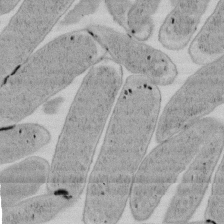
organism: E. coli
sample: Bacterial nucleoid